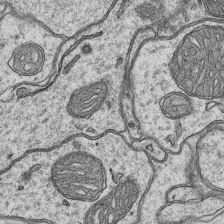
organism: Mouse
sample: CA1 Hippocampus